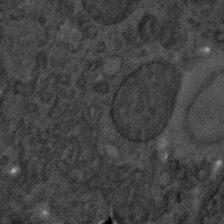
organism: C. elegans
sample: C. elegans embryo